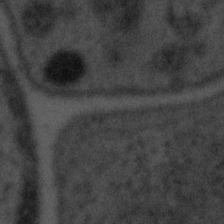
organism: Tuwongella immobilis